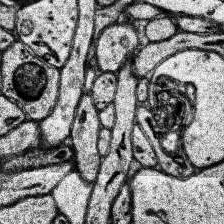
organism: Human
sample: Temporal Lobe